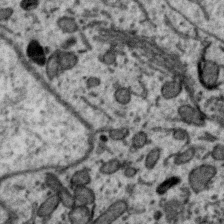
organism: Zebra finch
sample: Brain